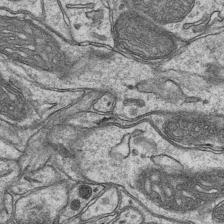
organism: Mouse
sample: CA1 Hippocampus